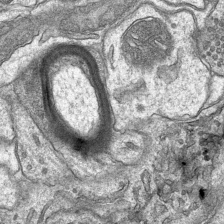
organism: Mouse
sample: CA1 Hippocampus